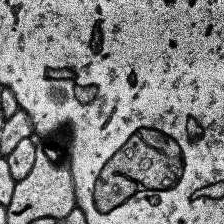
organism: Human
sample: Temporal Lobe